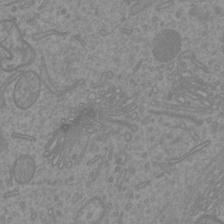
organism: Mouse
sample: Cortical neurons